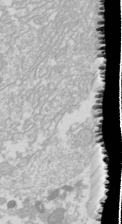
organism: Drosophila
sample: Cell division; meiosis; drosophila spermatocytes